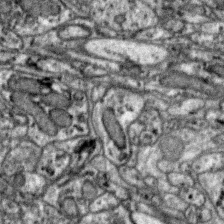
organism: Zebra finch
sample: Brain